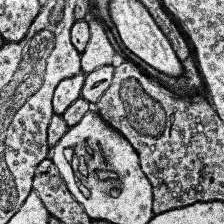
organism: Human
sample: Temporal Lobe